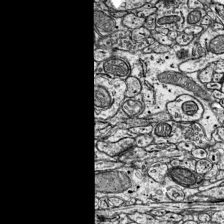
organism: Mouse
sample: Visual Cortex